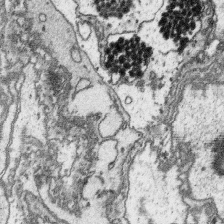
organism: Platynereis dumerilii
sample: Parapodia